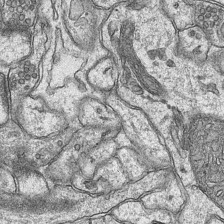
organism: Mouse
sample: CA1 Hippocampus